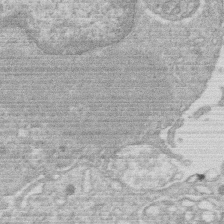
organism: Human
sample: Macrophage cells